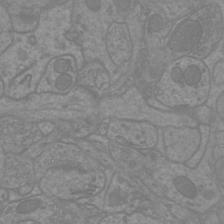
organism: Mouse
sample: Cortical neurons